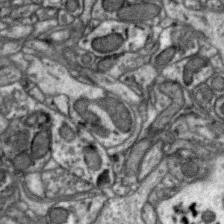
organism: Zebra finch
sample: Brain